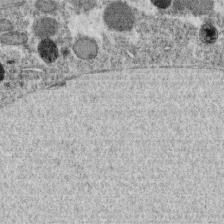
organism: C. elegans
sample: C. elegans oocyte; sperm cells